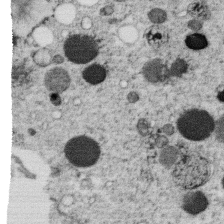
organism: C. elegans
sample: C. elegans oocyte; sperm cells